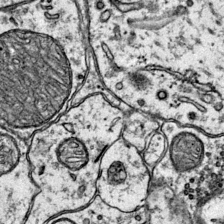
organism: Mouse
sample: Primary visual cortex